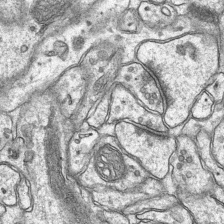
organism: Mouse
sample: CA1 Hippocampus